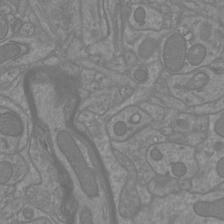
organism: Mouse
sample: Cortical neurons